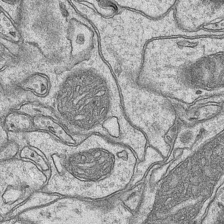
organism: Mouse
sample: CA1 Hippocampus